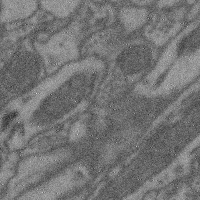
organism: Mouse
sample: Cerebral cortex